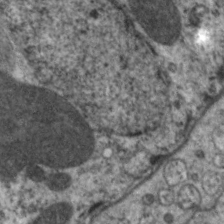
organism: C. elegans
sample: Pharynx